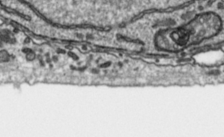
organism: Toxoplasma gondii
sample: Parasites in a vacuole inside a host cell